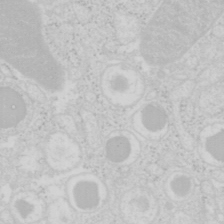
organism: Mouse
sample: Pancreas